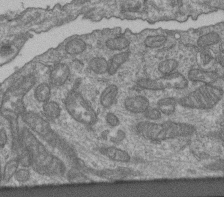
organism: Human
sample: Retinal organoid Rod and Cone cells